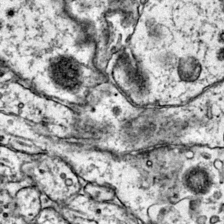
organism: Mouse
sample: Primary visual cortex